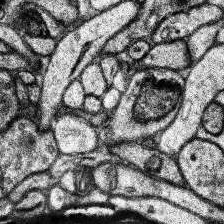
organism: Human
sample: Temporal Lobe